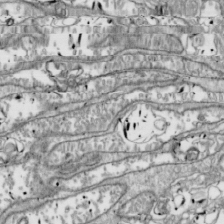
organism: Drosophila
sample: Cell division; meiosis; drosophila spermatocytes